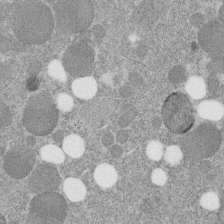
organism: C. elegans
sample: C. elegans embryo early stage